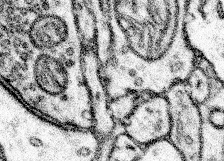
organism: Mouse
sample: Somatosensory cortex neuropil